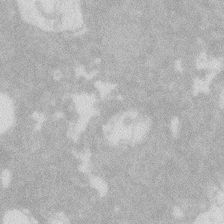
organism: Zebrafish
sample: Macrophage